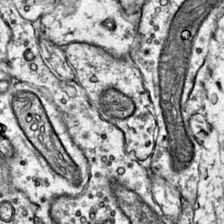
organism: Mouse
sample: Primary visual cortex